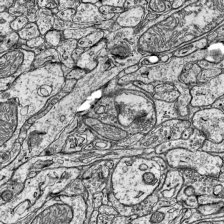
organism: Mouse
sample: Visual Cortex